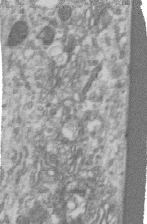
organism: Human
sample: Centriole in RPE cells